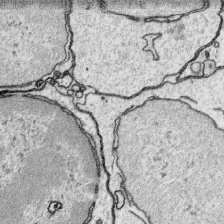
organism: Platynereis dumerilii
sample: Parapodia